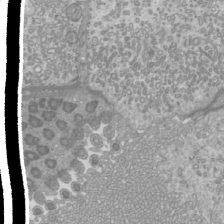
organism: Mouse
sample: Cilia; mouse epididymis